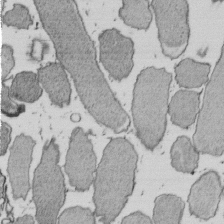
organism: E. coli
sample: Bacterial nucleoid